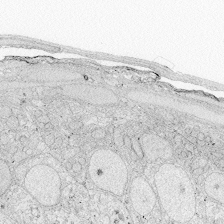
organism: Zebrafish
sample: Whole-Brain